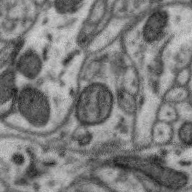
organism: Zebra finch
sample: Brain